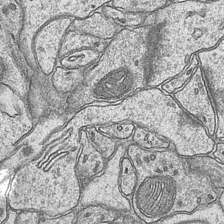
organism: Mouse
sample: CA1 Hippocampus